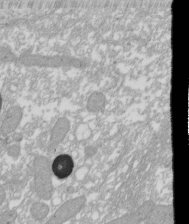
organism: Xenopus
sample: Cilia; centrioles in frog embryo cells